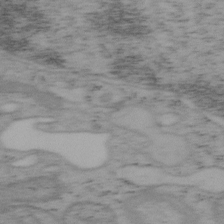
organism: Mouse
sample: OT-I killer T cells with ID8 ovarian cancer cells